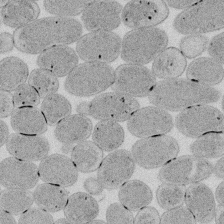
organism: E. coli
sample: Bacterial nucleoid